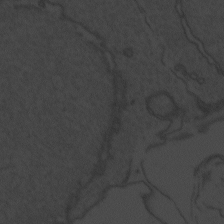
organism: Zebrafish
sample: Macrophage infected with Toxoplasma gondii